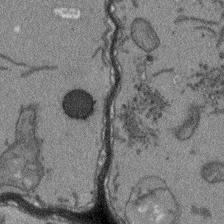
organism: Arabidopsis thaliana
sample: Root tip